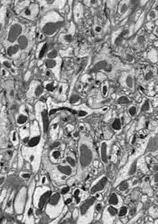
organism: Drosophila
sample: Optic lobe